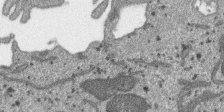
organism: Human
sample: Lung epithelial cells infected with SARS-CoV-2